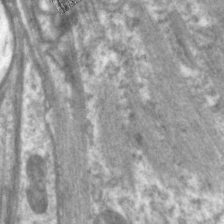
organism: C. elegans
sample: Pharynx